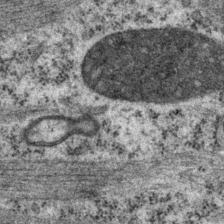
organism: P. pacificus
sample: Pharynx